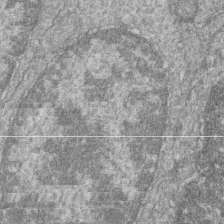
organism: Zebrafish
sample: Cilia; retinal pigment epithelium